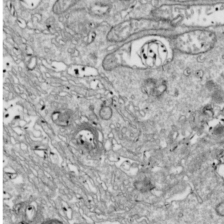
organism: Drosophila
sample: Cell division; meiosis; drosophila spermatocytes